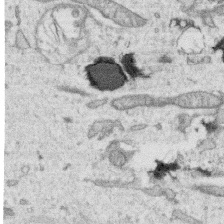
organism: Human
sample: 1205lu cells